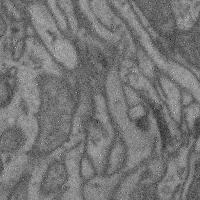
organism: Mouse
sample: Cerebral cortex